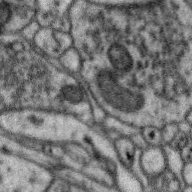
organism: Zebra finch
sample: Brain